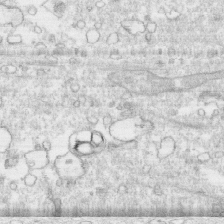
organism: Human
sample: CRL-1474